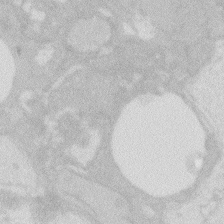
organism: Zebrafish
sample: Macrophage